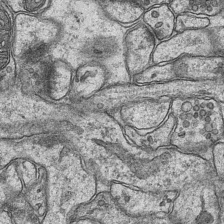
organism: Mouse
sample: CA1 Hippocampus